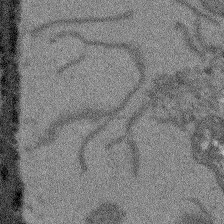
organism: Arabidopsis thaliana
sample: Root tip